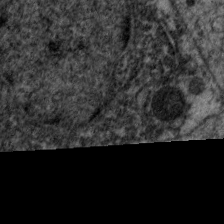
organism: C. elegans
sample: Pharynx